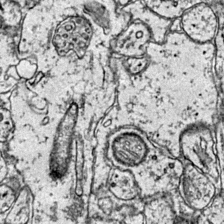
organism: Mouse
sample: Primary visual cortex